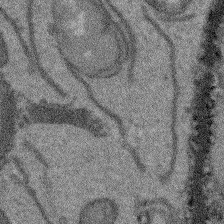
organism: Arabidopsis thaliana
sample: Root tip